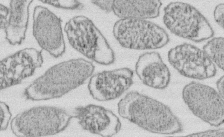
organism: E. coli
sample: Bacterial nucleoid